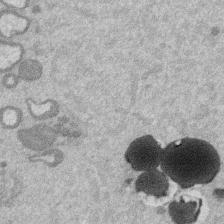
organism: Mouse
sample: Dividing mouse embryo 1 cell stage